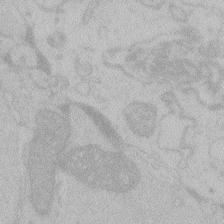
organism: Zebrafish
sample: Macrophage infected with Toxoplasma gondii